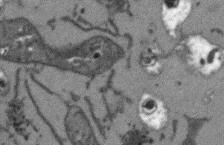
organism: Arabidopsis thaliana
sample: Root tip